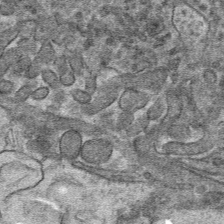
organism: Mouse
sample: Mouse hepatocytes